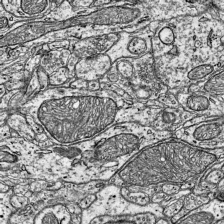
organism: Mouse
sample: Visual Cortex